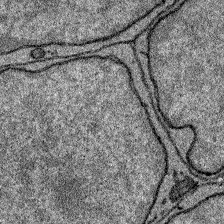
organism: Zebrafish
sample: Larval olfactory bulb